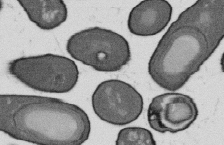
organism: B. subtilis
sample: Bacterial spore